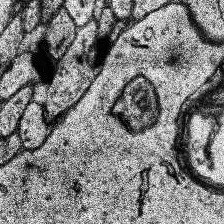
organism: Human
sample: Temporal Lobe